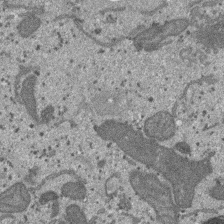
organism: Human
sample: Lung epithelial cells infected with SARS-CoV-2